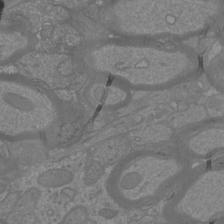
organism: Mouse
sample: Cortical neurons